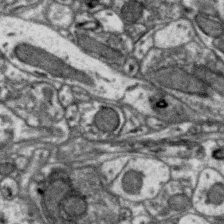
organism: Zebra finch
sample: Brain